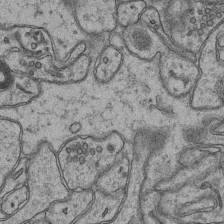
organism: Mouse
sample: CA1 Hippocampus